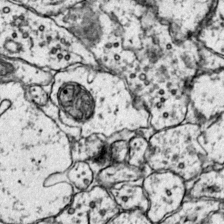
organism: Mouse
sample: Primary visual cortex